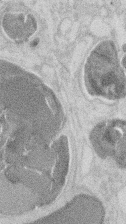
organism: Mouse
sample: T cell stromal cell synapse